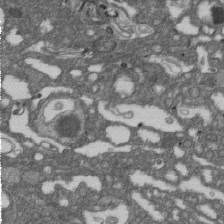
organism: Drosophila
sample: Nephrocyte